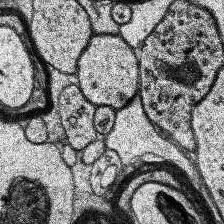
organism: Human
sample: Temporal Lobe